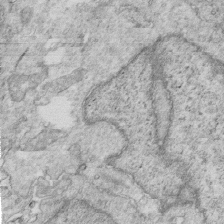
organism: Mouse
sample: Multiciliated cells